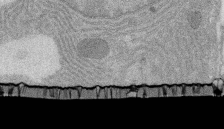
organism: Rat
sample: Salivary granule